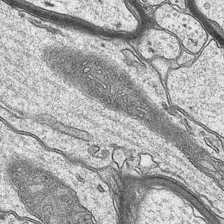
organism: Mouse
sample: CA1 Hippocampus